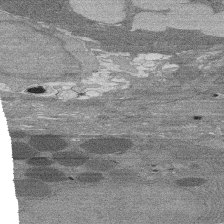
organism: Rat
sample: Salivary granule